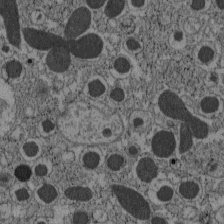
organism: C57BL Mouse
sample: Pancreatic islet